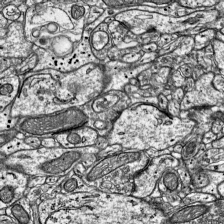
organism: Mouse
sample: Visual Cortex